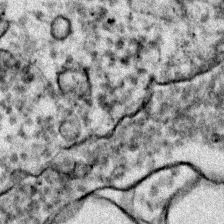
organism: Zebrafish